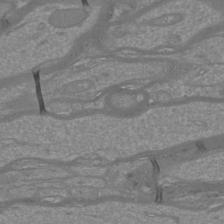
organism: Mouse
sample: Cortical neurons